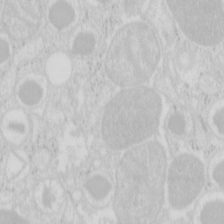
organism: Mouse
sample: Pancreas